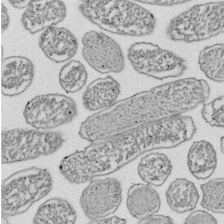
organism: E. coli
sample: Bacterial nucleoid